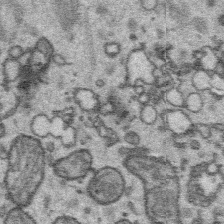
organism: Platynereis dumerilii